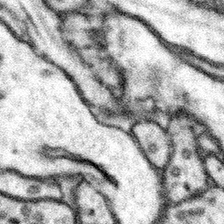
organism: Mouse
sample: Somatosensory cortex neuropil